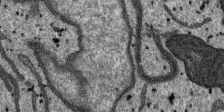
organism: Human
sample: Lung epithelial cells, uninfected (mock) control